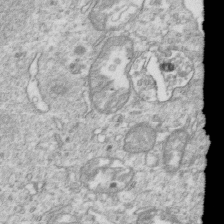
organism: Mouse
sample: Activated OT-1 CD8+ T cells